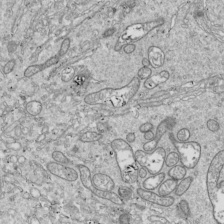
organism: Drosophila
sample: Cell division; meiosis; drosophila spermatocytes